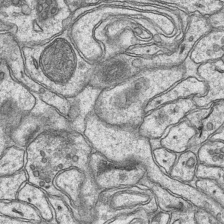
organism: Mouse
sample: CA1 Hippocampus